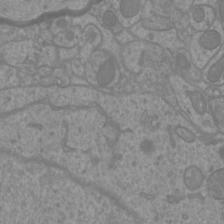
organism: Mouse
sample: Cortical neurons